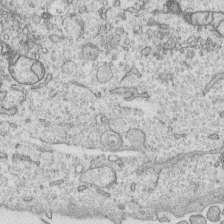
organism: Human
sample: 1205lu cells